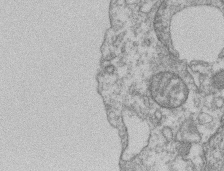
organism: Mouse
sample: T cell stromal cell synapse